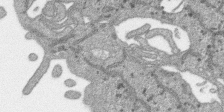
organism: Human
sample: Lung epithelial cells infected with SARS-CoV-2